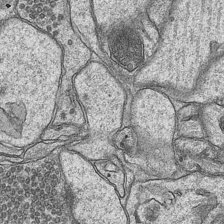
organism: Mouse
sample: CA1 Hippocampus